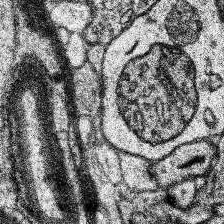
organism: Human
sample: Temporal Lobe